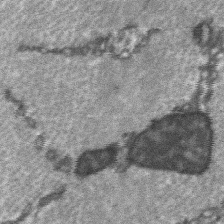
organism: C57BL Mouse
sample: Soleus